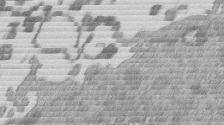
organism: Mouse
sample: Dividing mouse embryo 1 cell stage